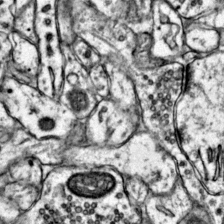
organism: Mouse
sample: Primary visual cortex